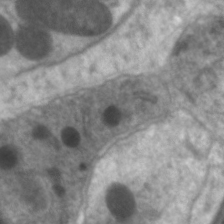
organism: C. elegans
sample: Pharynx